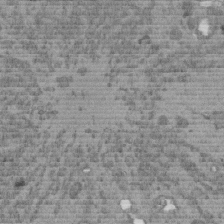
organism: C. elegans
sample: C. elegans embryo early stage